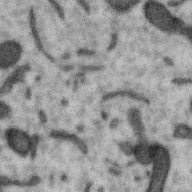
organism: Zebra finch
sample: Brain